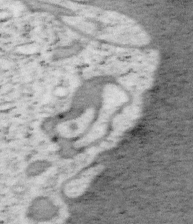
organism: Mouse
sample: OT-I killer T cells with ID8 ovarian cancer cells